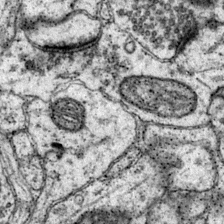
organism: Mouse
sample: Primary visual cortex